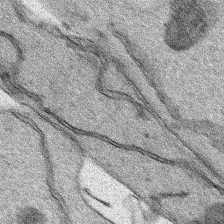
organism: Human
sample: Mitochondria in HCT116 cells